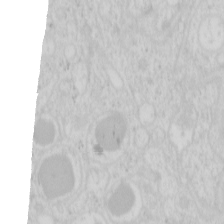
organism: Mouse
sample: Pancreas